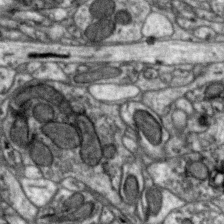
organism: Zebra finch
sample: Brain